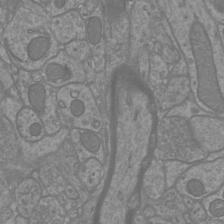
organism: Mouse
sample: Cortical neurons